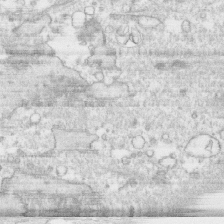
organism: Human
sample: CRL-1474